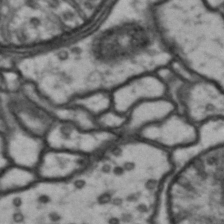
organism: Drosophila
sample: Brain